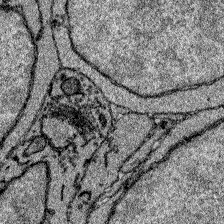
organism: Zebrafish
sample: Larval olfactory bulb